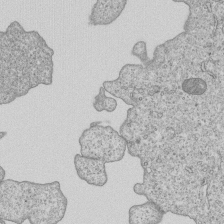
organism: Human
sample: MDA-MB-231 cells